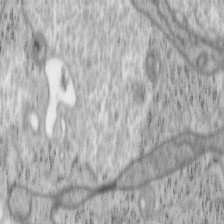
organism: Human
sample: HeLa cells